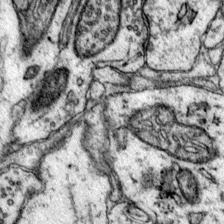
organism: Mouse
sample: Primary visual cortex